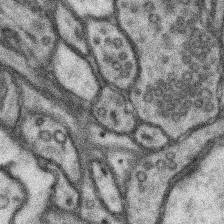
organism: Mouse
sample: Somatosensory cortex neuropil